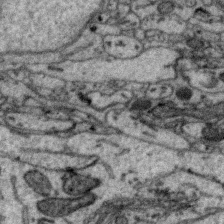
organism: Zebra finch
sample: Brain